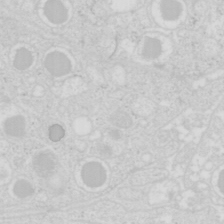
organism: Mouse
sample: Pancreas